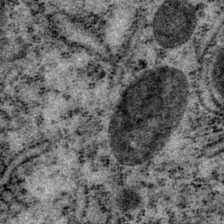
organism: P. pacificus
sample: Pharynx